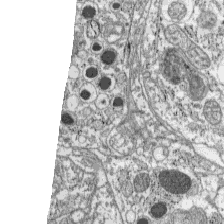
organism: C57BL Mouse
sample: Pancreatic islet